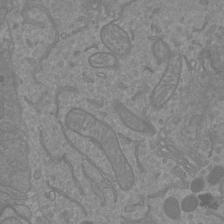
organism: Mouse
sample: Cortical neurons